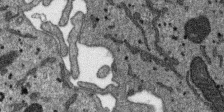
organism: Human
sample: Lung epithelial cells infected with SARS-CoV-2